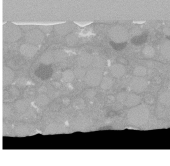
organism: C. elegans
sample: C. elegans oocyte; sperm cells